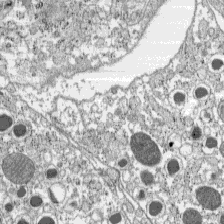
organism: C57BL Mouse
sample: Pancreatic islet